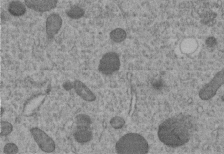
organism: C. elegans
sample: C. elegans embryo early stage